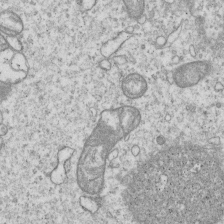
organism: Human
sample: MDA-MB-231 cells